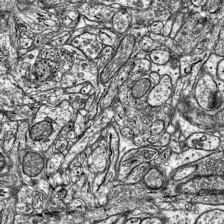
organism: Mouse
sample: Visual Cortex